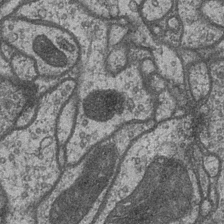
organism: Drosophila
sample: Optic medulla